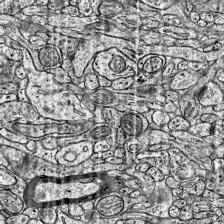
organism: Mouse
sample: Visual Cortex